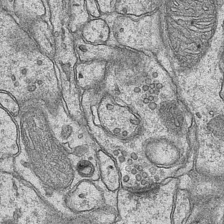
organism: Mouse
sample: CA1 Hippocampus